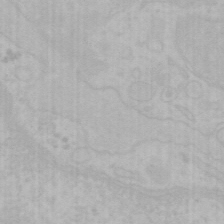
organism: Mouse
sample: Choroid plexus